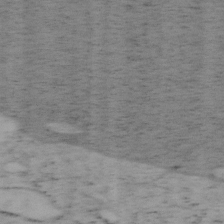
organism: Mouse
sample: OT-I killer T cells with ID8 ovarian cancer cells